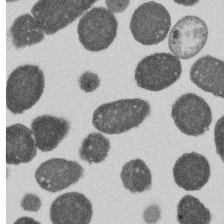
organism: E. coli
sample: Bacterial nucleoid